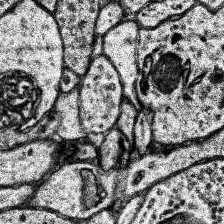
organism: Human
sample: Temporal Lobe